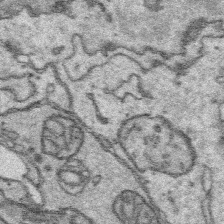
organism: Platynereis dumerilii